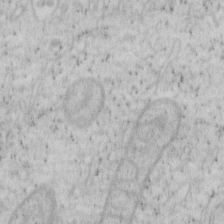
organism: Human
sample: HeLa cells